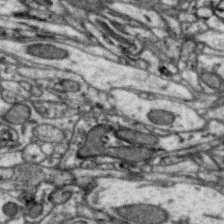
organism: Zebra finch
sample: Brain